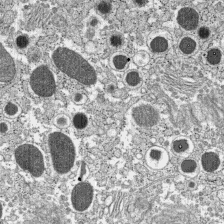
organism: C57BL Mouse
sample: Pancreatic islet